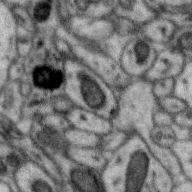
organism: Zebra finch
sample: Brain